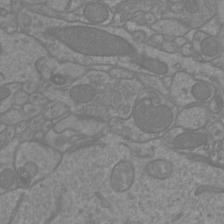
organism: Mouse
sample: Cortical neurons